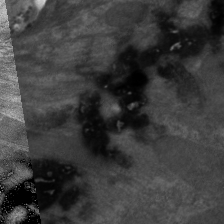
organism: C. elegans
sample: Pharynx